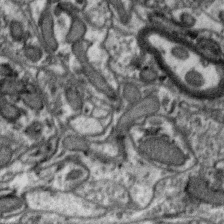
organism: Zebra finch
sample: Brain